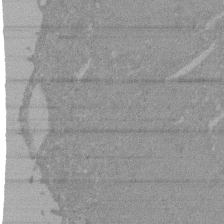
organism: Mouse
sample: ED-1 cell nuclei; centrioles